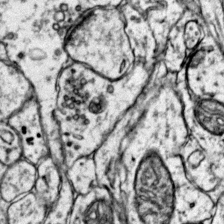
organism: Mouse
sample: Primary visual cortex